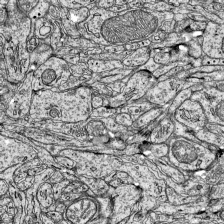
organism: Mouse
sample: Visual Cortex